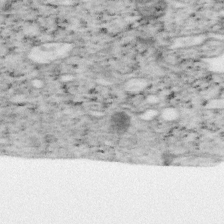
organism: Mouse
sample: OT-I killer T cells with ID8 ovarian cancer cells